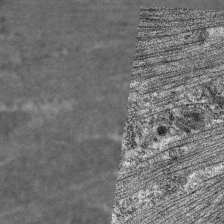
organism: C. elegans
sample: Pharynx